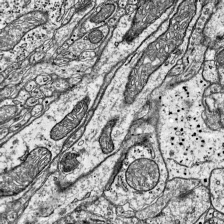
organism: Mouse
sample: Visual Cortex